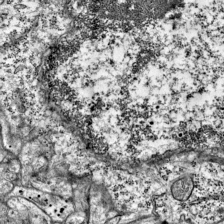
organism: Mouse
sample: Visual Cortex